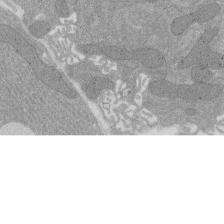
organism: Rat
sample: Salivary granule